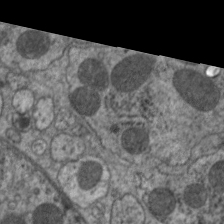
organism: C. elegans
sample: Pharynx